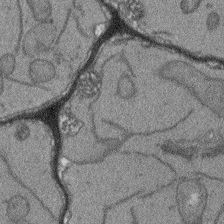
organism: Arabidopsis thaliana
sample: Root tip